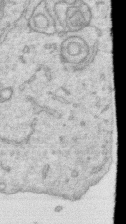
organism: Human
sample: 1205lu cells